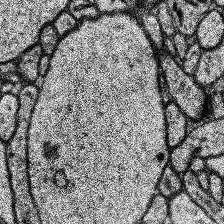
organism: Human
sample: Temporal Lobe